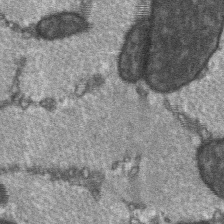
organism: C57BL Mouse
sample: Soleus